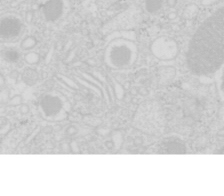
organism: Mouse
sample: Pancreas